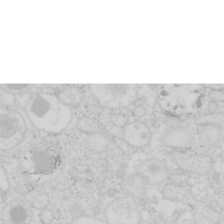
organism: Mouse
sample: Pancreas